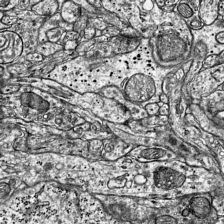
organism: Mouse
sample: Visual Cortex